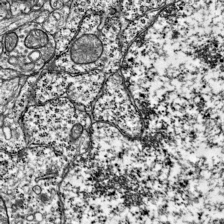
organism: Mouse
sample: Visual Cortex